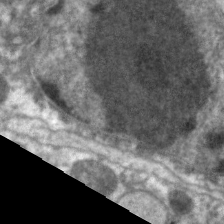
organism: C. elegans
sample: Pharynx